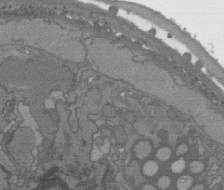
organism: C. elegans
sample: AFD neurons C. elegans